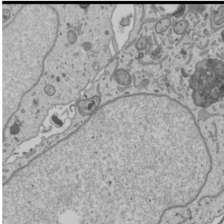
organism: Human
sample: Mitochondria in U2OS cells